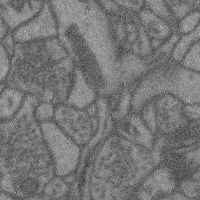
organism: Mouse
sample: Cerebral cortex